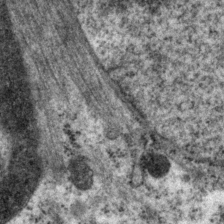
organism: P. pacificus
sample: Pharynx